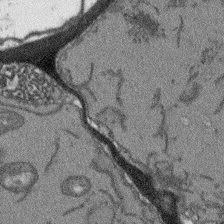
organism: Arabidopsis thaliana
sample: Root tip